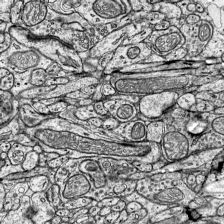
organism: Mouse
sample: Visual Cortex